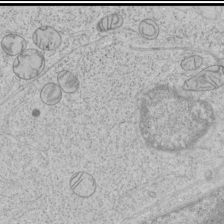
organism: Human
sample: Mitochondria in HCT116 cells